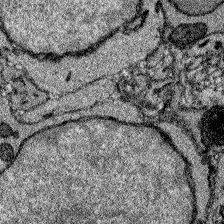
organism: Zebrafish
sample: Larval olfactory bulb